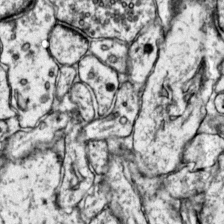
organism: Mouse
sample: Primary visual cortex